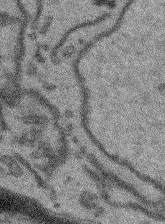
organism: Arabidopsis thaliana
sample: Root tip